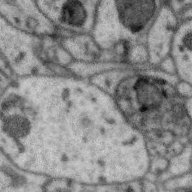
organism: Zebra finch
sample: Brain